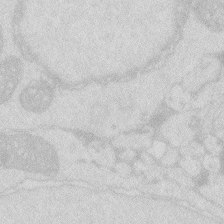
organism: Zebrafish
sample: Macrophage